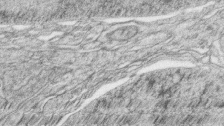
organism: Zebrafish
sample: synaptic ribbons in rod cells and cone cells